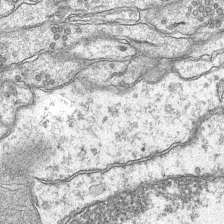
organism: Mouse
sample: CA1 Hippocampus